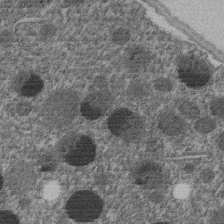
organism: C. elegans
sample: C. elegans embryo early stage